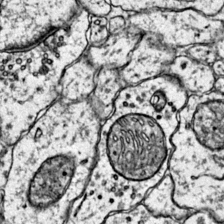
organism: Mouse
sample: Primary visual cortex